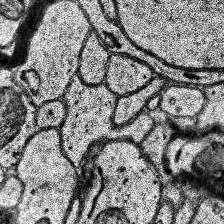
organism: Human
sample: Temporal Lobe